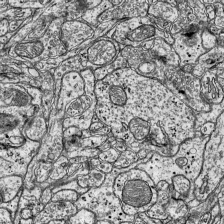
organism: Mouse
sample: Visual Cortex